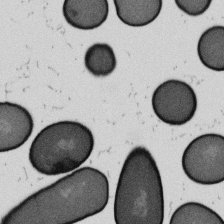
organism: B. subtilis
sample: Bacterial spore